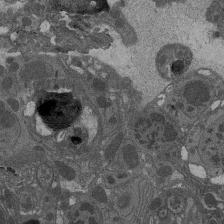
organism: Drosophila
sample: Antenna